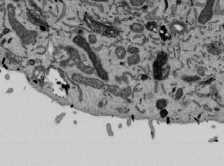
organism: Mouse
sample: ED-1 cell nuclei; centrioles